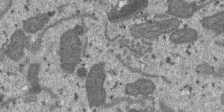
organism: Human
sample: Lung epithelial cells infected with SARS-CoV-2